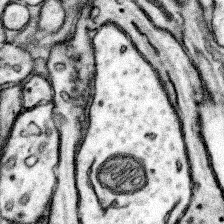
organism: Mouse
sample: Somatosensory cortex neuropil